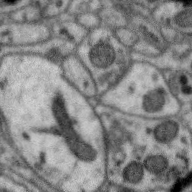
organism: Zebra finch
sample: Brain